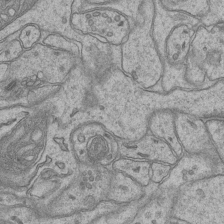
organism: Mouse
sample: CA1 Hippocampus